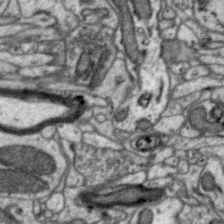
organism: Zebra finch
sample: Brain